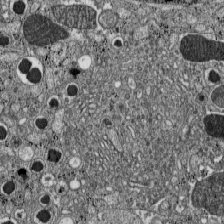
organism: C57BL Mouse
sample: Pancreatic islet